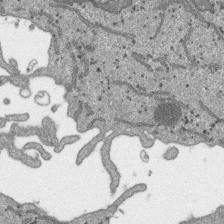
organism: Human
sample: Lung epithelial cells infected with SARS-CoV-2